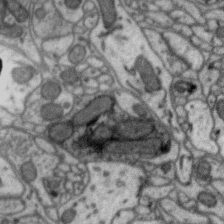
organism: Zebra finch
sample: Brain